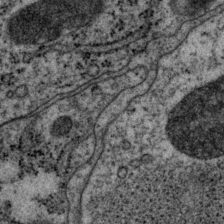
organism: P. pacificus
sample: Pharynx